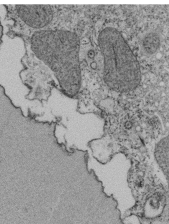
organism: Tetrahymena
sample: Cilia in tetrahymena